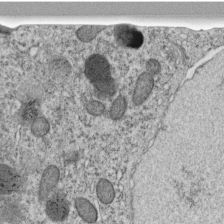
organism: C. elegans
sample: C. elegans embryo early stage